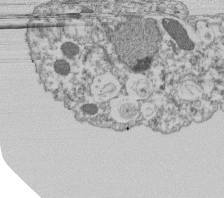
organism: Dictyostelium discoideum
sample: Dictyostelium multivesicular bodies